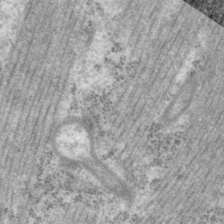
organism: P. pacificus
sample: Pharynx